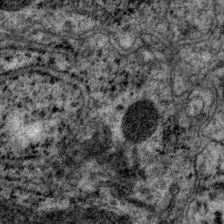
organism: P. pacificus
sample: Pharynx